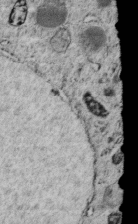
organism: C. elegans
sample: C. elegans embryo early stage